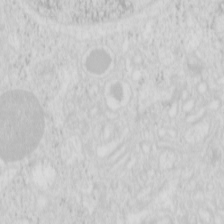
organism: Mouse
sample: Pancreas